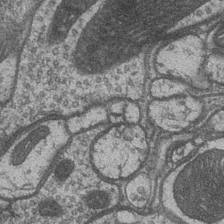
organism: Drosophila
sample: Optic medulla